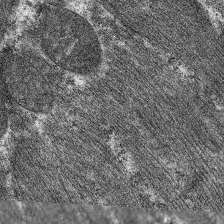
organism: C. elegans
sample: Pharynx